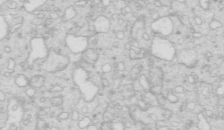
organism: Mouse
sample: Multiciliated cells